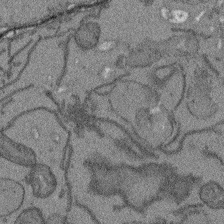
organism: Arabidopsis thaliana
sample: Root tip